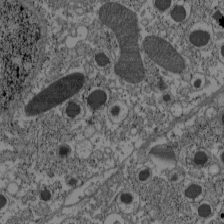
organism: C57BL Mouse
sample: Pancreatic islet